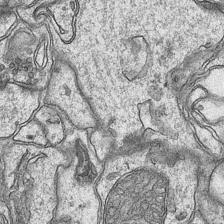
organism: Mouse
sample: CA1 Hippocampus